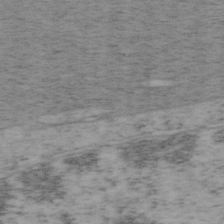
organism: Mouse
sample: OT-I killer T cells with ID8 ovarian cancer cells